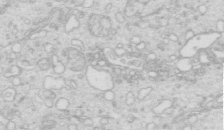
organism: Mouse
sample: Multiciliated cells